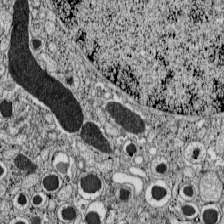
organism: C57BL Mouse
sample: Pancreatic islet